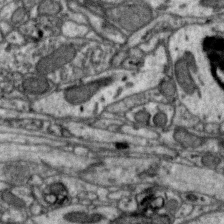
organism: Zebra finch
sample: Brain